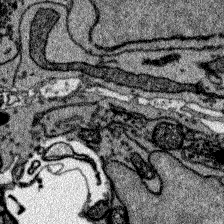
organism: Zebrafish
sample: Larval olfactory bulb